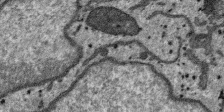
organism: Human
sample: Lung epithelial cells, uninfected (mock) control